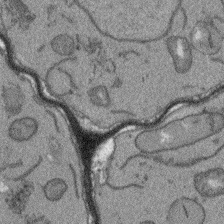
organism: Arabidopsis thaliana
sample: Root tip